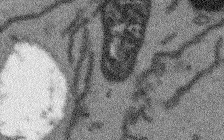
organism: Arabidopsis thaliana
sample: Root tip